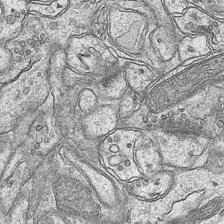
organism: Mouse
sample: CA1 Hippocampus